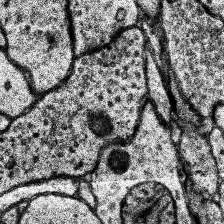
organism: Human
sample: Temporal Lobe